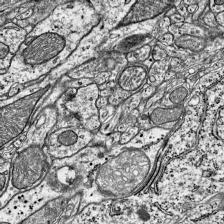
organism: Mouse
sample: Visual Cortex